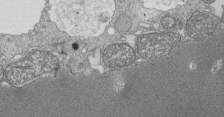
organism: Tetrahymena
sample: Cilia in tetrahymena